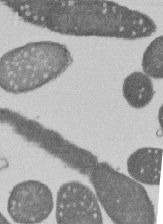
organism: E. coli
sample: Bacterial nucleoid